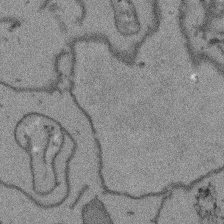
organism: Arabidopsis thaliana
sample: Root tip